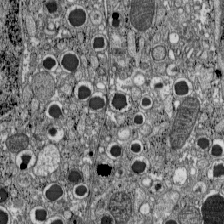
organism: C57BL Mouse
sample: Pancreatic islet